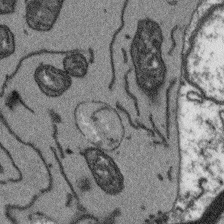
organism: Arabidopsis thaliana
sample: Root tip